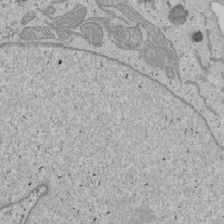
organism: Human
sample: Mitochondria in U2OS cells